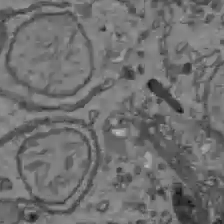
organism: C57BL Mouse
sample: Liver